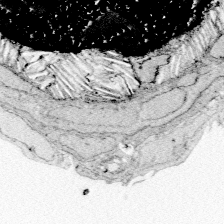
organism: Zebrafish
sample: Whole-Brain